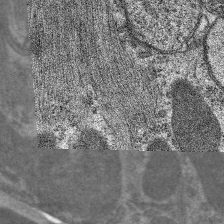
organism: C. elegans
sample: Pharynx